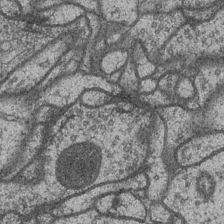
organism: Drosophila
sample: Optic medulla